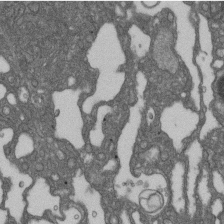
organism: Drosophila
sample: Nephrocyte